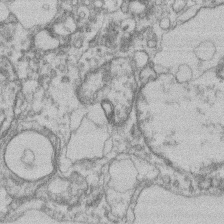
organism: Mouse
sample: T cell stromal cell synapse